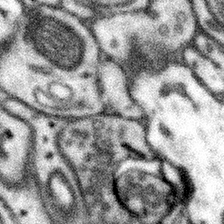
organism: Mouse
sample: Somatosensory cortex neuropil